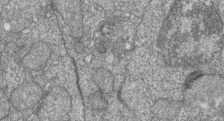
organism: Zebrafish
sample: Cilia; retinal pigment epithelium